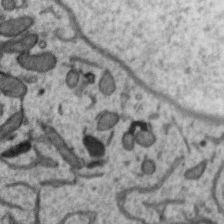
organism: Zebra finch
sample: Brain